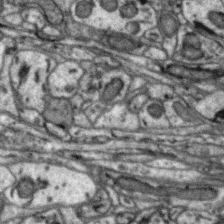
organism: Zebra finch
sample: Brain